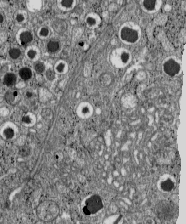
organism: C57BL Mouse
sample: Pancreatic islet